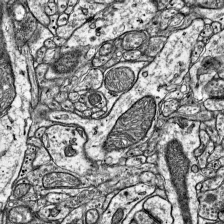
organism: Mouse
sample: Visual Cortex